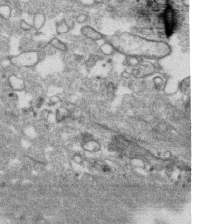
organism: Human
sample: CRL-1474